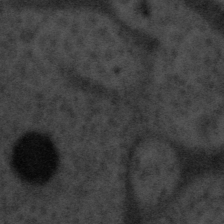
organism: Tuwongella immobilis